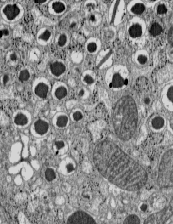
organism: C57BL Mouse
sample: Pancreatic islet